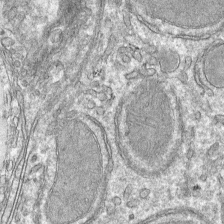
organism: Mouse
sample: Mouse hepatocytes